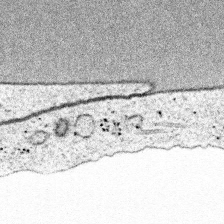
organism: Human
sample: HeLa cells